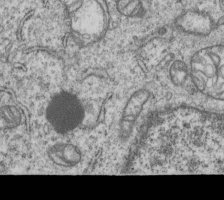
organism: Human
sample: MDA-MB-231 cells